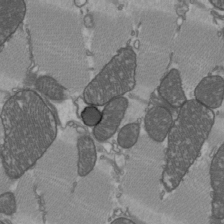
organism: C57BL Mouse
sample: Heart